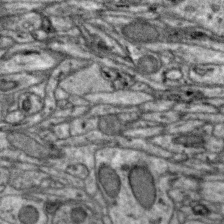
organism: Zebra finch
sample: Brain